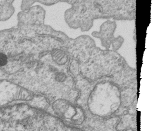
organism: Human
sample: MDA-MB-231 cells